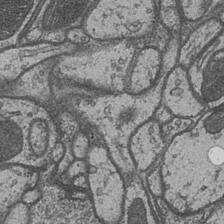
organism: Drosophila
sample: Optic medulla